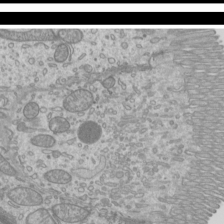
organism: Mouse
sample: Cilia; mouse epididymis